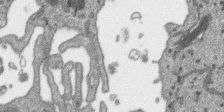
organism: Human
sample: Lung epithelial cells infected with SARS-CoV-2